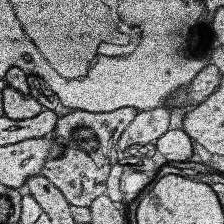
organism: Human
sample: Temporal Lobe